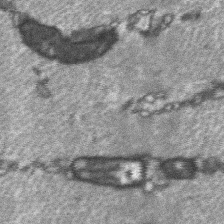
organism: C57BL Mouse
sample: Soleus